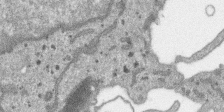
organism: Human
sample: Lung epithelial cells infected with SARS-CoV-2